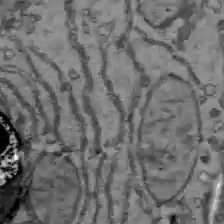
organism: C57BL Mouse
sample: Liver